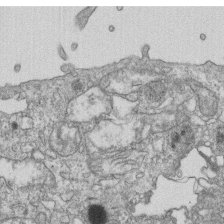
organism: Human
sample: HeLa cell HIV synapse